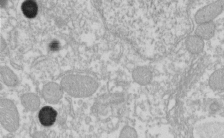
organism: Xenopus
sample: Cilia; centrioles in frog embryo cells